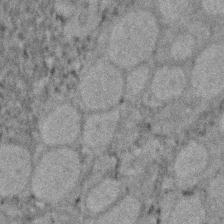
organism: Zebrafish